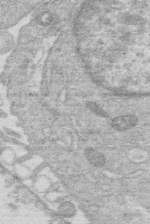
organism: Human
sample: Macrophage cells